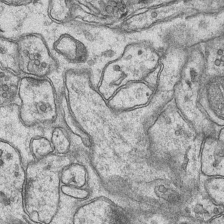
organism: Mouse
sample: CA1 Hippocampus